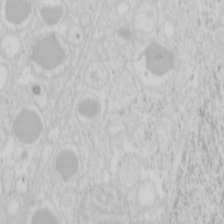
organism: Mouse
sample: Pancreas